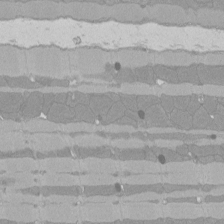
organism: Rat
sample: Left ventricle